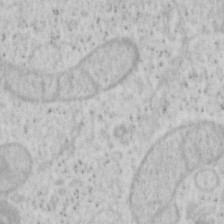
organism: Human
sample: HeLa cells